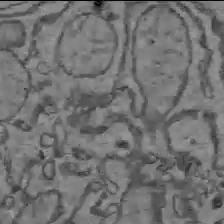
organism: C57BL Mouse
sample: Liver